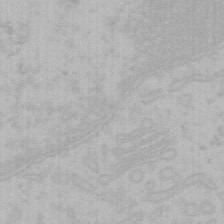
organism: Mouse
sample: Choroid plexus